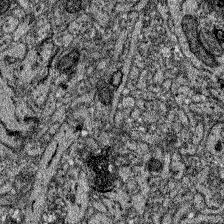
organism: Zebrafish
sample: Larval olfactory bulb